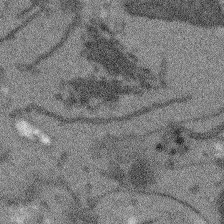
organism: Arabidopsis thaliana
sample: Root tip